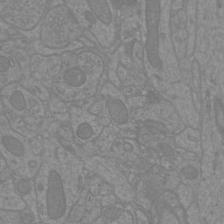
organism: Mouse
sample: Cortical neurons